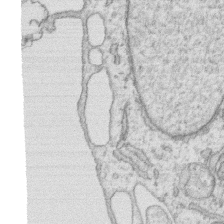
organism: Human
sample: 1205lu cells